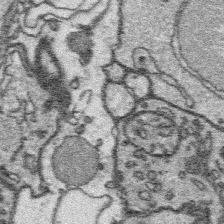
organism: Platynereis dumerilii